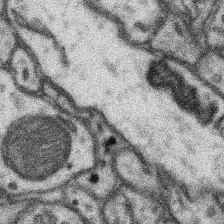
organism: Mouse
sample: Somatosensory cortex neuropil